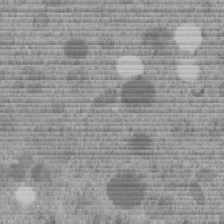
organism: C. elegans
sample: C. elegans embryo early stage